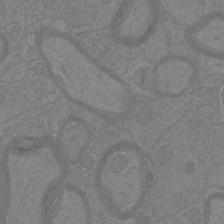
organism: Mouse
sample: Cortical neurons